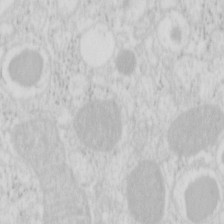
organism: Mouse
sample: Pancreas